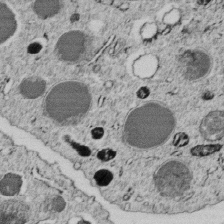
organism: C. elegans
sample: C. elegans embryo early stage